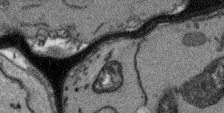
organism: Arabidopsis thaliana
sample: Root tip